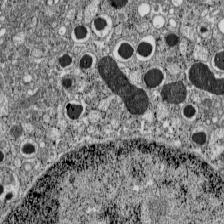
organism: C57BL Mouse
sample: Pancreatic islet